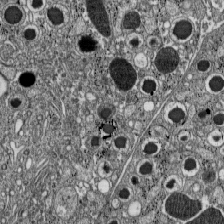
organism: C57BL Mouse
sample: Pancreatic islet